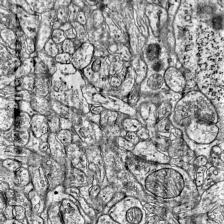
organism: Mouse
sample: Visual Cortex